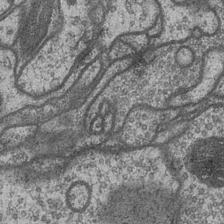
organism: Drosophila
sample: Optic medulla